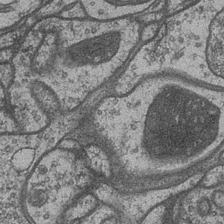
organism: Drosophila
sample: Optic medulla